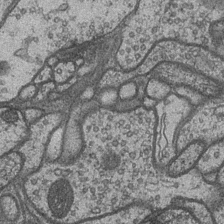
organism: Drosophila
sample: Optic medulla